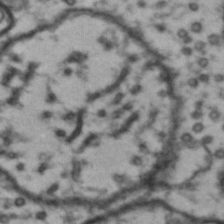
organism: Drosophila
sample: Brain